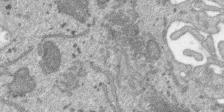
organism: Human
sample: Lung epithelial cells infected with SARS-CoV-2